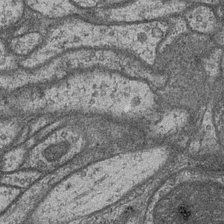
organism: Drosophila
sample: Optic medulla